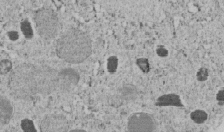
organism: C. elegans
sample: C. elegans embryo early stage